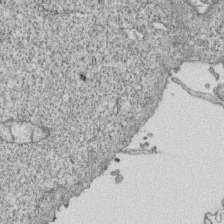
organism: Human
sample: HeLa cell HIV synapse